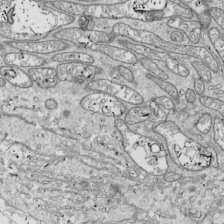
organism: Drosophila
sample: Cell division; meiosis; drosophila spermatocytes